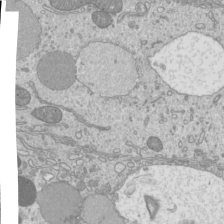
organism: Mouse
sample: Cilia; mouse epididymis